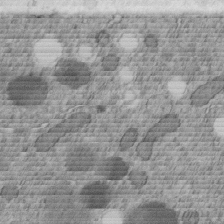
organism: C. elegans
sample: C. elegans embryo early stage